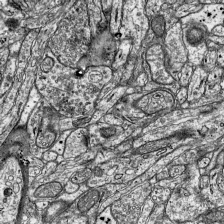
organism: Mouse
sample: Visual Cortex